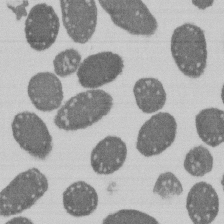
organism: E. coli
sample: Bacterial nucleoid